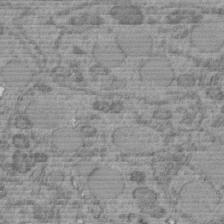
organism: C. elegans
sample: C. elegans embryo early stage